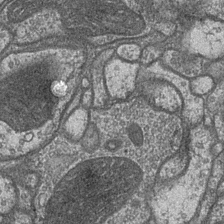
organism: Drosophila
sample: Optic medulla